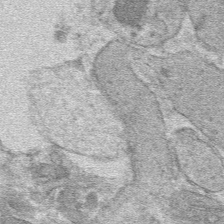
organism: Mouse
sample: Mouse hepatocytes